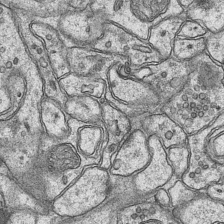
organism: Mouse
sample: CA1 Hippocampus